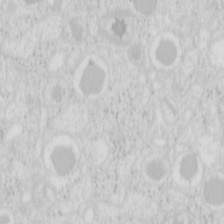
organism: Mouse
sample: Pancreas